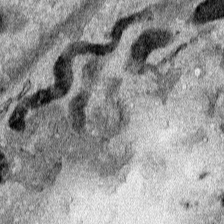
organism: Human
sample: Mitochondria in HCT116 cells